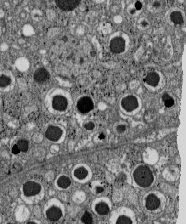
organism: C57BL Mouse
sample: Pancreatic islet